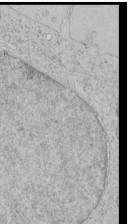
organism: Human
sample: Mitochondria in HCT116 cells